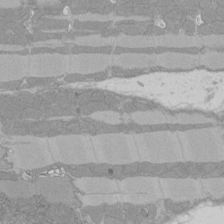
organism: Rat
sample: Left ventricle